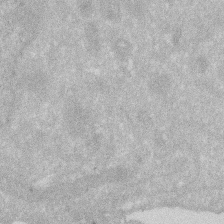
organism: Human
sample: HIV infected U937 cells